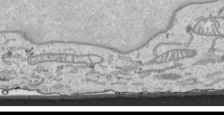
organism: Human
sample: Mitochondria in HCT116 cells